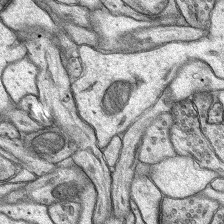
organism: Rat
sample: Hippocampus